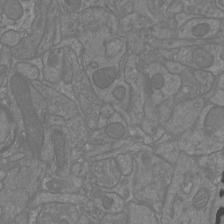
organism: Mouse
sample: Cortical neurons